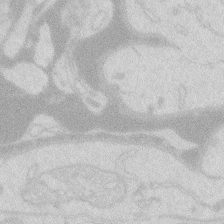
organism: Zebrafish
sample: Macrophage